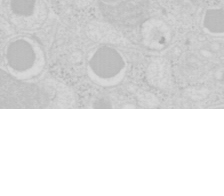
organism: Mouse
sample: Pancreas